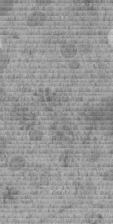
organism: C. elegans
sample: C. elegans embryo early stage